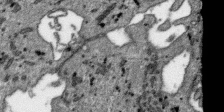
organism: Human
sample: Lung epithelial cells, uninfected (mock) control